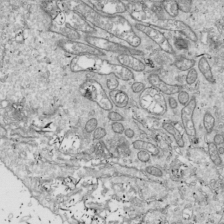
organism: Drosophila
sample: Cell division; meiosis; drosophila spermatocytes